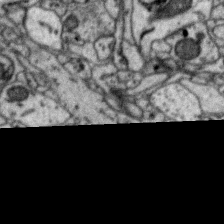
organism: Zebra finch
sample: Brain